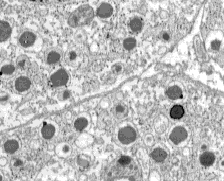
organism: C57BL Mouse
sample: Pancreatic islet